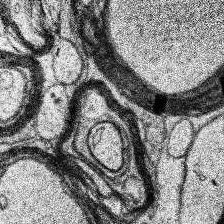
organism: Human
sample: Temporal Lobe